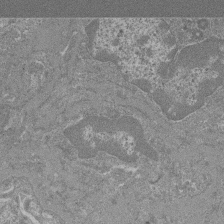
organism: Mouse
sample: Glomerulus